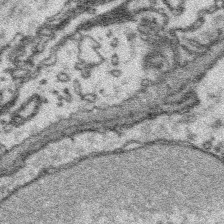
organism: Platynereis dumerilii